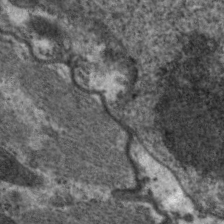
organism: C. elegans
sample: Pharynx